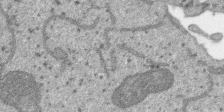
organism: Human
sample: Lung epithelial cells infected with SARS-CoV-2